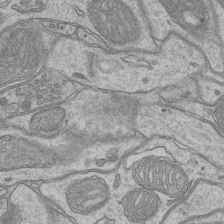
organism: Mouse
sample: CA1 Hippocampus